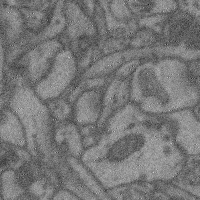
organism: Mouse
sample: Cerebral cortex